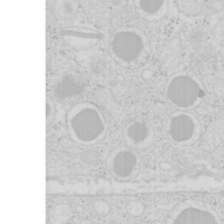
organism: Mouse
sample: Pancreas